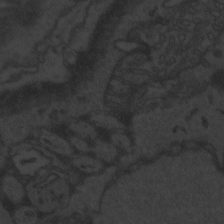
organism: Zebrafish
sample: Macrophage infected with Toxoplasma gondii